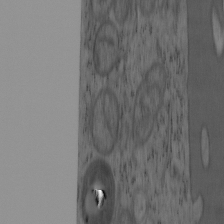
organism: Human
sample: HeLa cells